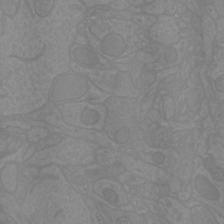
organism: Mouse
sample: Cortical neurons